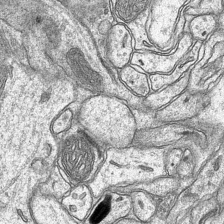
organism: Mouse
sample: CA1 Hippocampus